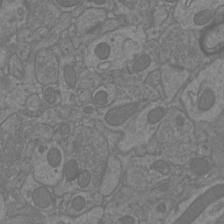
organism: Mouse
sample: Cortical neurons